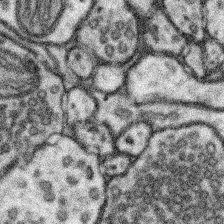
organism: Mouse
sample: Somatosensory cortex neuropil